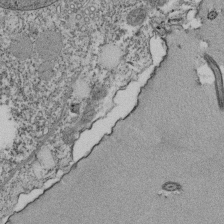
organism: Tetrahymena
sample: Cilia in tetrahymena